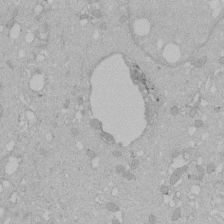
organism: Human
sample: Melanocyte Keratinocyte synapse skin construct